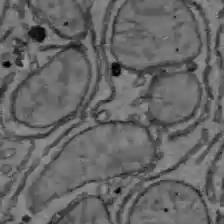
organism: C57BL Mouse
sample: Liver